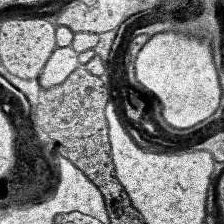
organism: Human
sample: Temporal Lobe